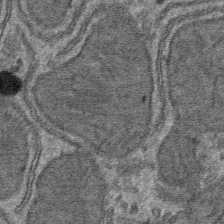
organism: Mouse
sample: Mouse hepatocytes